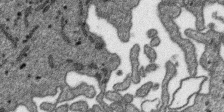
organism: Human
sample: Lung epithelial cells infected with SARS-CoV-2